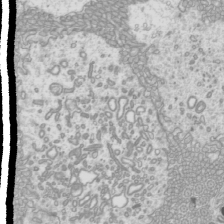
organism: Mouse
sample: Cilia; mouse epididymis